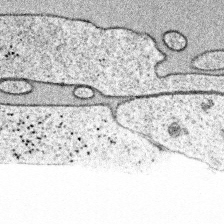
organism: Human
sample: HeLa cells